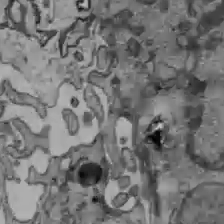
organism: C57BL Mouse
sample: Liver